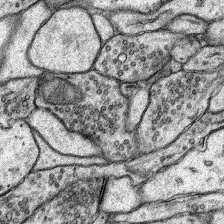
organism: Rat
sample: Hippocampus